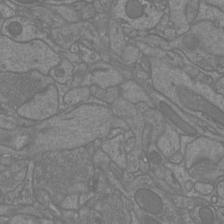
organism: Mouse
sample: Cortical neurons